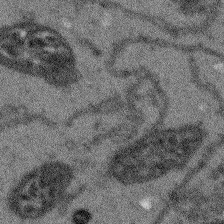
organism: Arabidopsis thaliana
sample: Root tip